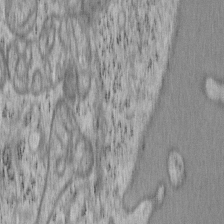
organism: Human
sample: HeLa cells